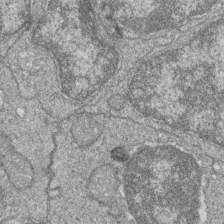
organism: Zebrafish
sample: Cilia; retinal pigment epithelium